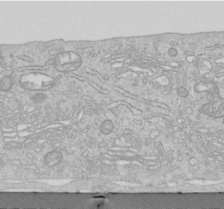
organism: Human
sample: Centriole in RPE cells